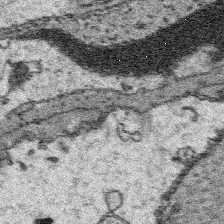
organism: Platynereis dumerilii